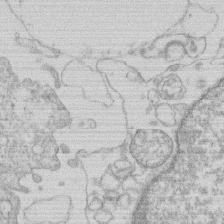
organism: Human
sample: Macrophage cells